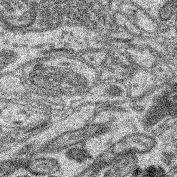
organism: Mouse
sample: Retina